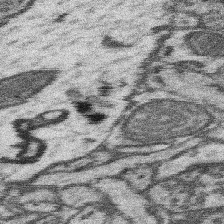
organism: Mouse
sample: Somatosensory cortex neuropil